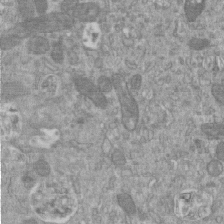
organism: Mouse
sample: ED-1 cell nuclei; centrioles